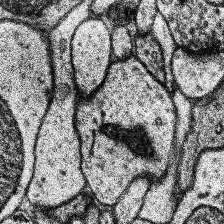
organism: Human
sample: Temporal Lobe